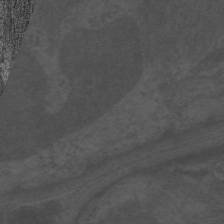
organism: C. elegans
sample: Pharynx